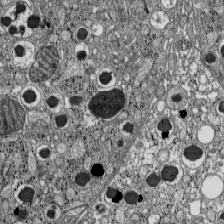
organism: C57BL Mouse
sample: Pancreatic islet